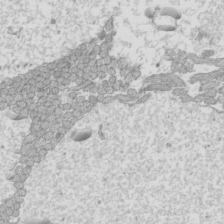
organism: Mouse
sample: Cilia; mouse epididymis